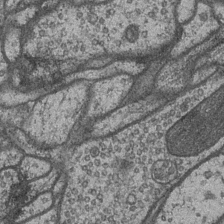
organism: Drosophila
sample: Optic medulla